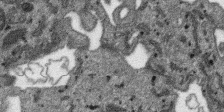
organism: Human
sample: Lung epithelial cells infected with SARS-CoV-2